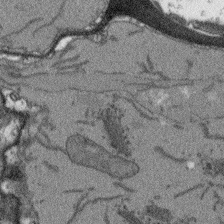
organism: Arabidopsis thaliana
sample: Root tip